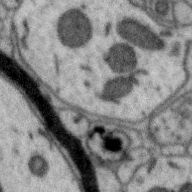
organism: Zebra finch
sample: Brain